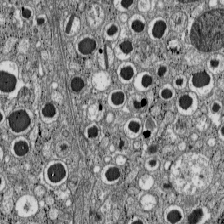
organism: C57BL Mouse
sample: Pancreatic islet